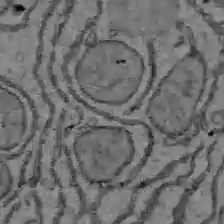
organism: C57BL Mouse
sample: Liver